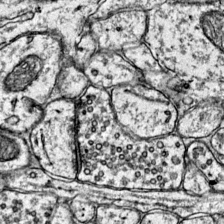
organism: Mouse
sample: Primary visual cortex